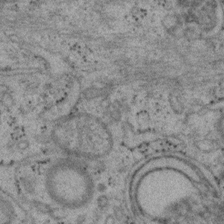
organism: Human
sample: HeLa cells